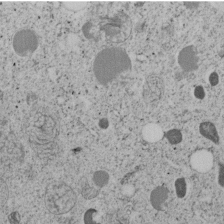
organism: C. elegans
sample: C. elegans embryo early stage